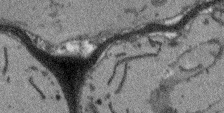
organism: Arabidopsis thaliana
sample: Root tip